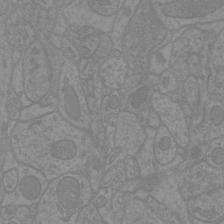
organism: Mouse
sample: Cortical neurons